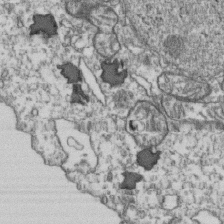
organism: Human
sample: Activated Jurkat CD4+ T cells